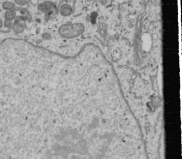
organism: Human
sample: Mitochondria in U2OS cells